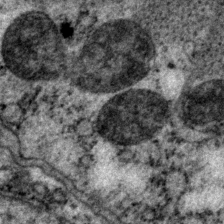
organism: P. pacificus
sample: Pharynx